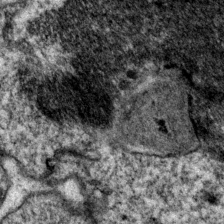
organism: P. pacificus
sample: Pharynx